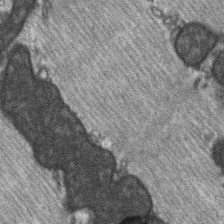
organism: C57BL Mouse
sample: Soleus